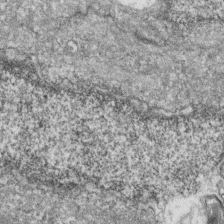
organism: Zebrafish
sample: Cilia; retinal pigment epithelium